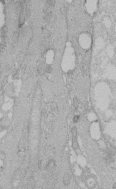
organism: Human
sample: Melanocyte Keratinocyte synapse skin construct